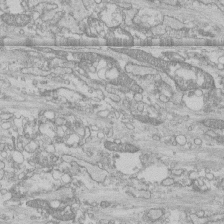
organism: Human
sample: CRL-1474